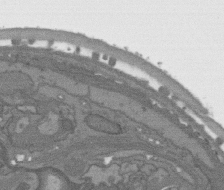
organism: C. elegans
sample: AFD neurons C. elegans